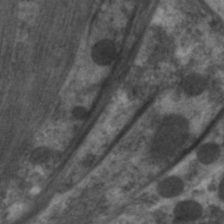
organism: C. elegans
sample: Pharynx